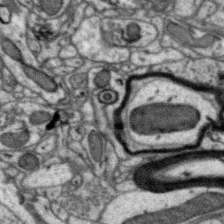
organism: Zebra finch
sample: Brain